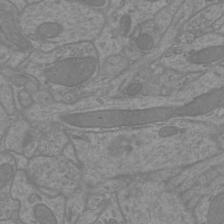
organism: Mouse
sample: Cortical neurons